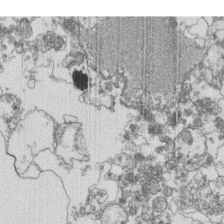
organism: Human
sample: HeLa cell HIV synapse